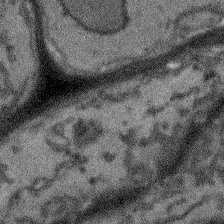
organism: Arabidopsis thaliana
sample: Root tip